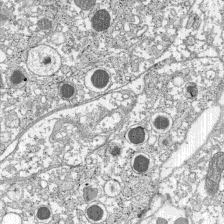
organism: C57BL Mouse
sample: Pancreatic islet